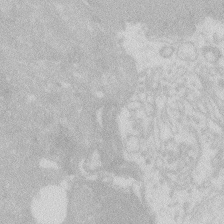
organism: Zebrafish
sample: Macrophage